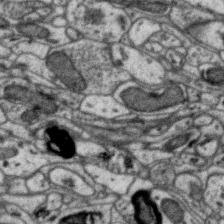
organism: Zebra finch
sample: Brain